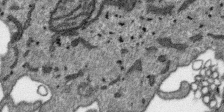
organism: Human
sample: Lung epithelial cells, uninfected (mock) control